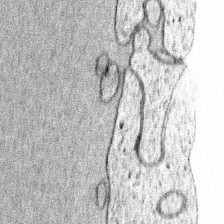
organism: Human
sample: HeLa cells